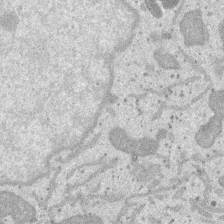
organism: Human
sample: Lung epithelial cells infected with SARS-CoV-2